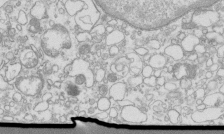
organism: Mouse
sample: Macrophages